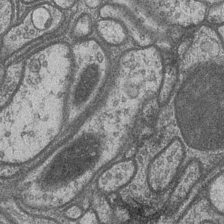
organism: Drosophila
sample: Optic medulla